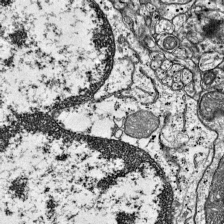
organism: Mouse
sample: Visual Cortex